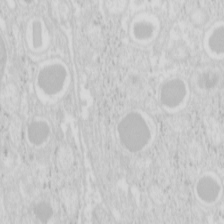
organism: Mouse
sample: Pancreas